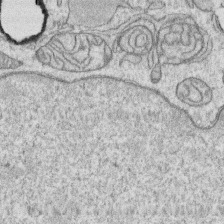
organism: Human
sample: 1205lu cells